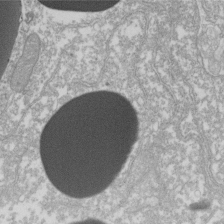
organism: Xenopus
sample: Cilia; centrioles in frog embryo cells